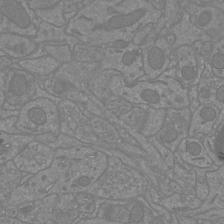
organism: Mouse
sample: Cortical neurons